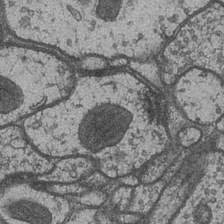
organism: Drosophila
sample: Optic medulla